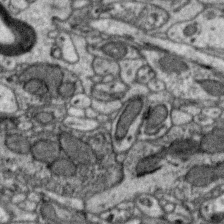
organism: Zebra finch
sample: Brain